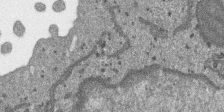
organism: Human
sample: Lung epithelial cells infected with SARS-CoV-2